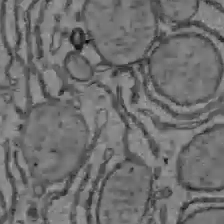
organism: C57BL Mouse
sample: Liver